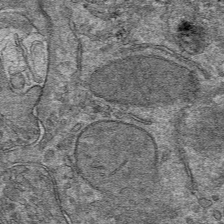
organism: Mouse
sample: Mouse hepatocytes